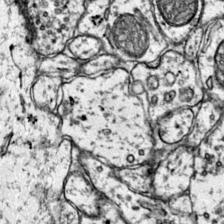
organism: Mouse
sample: Primary visual cortex